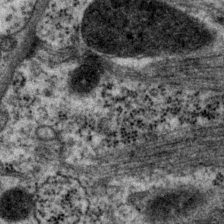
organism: P. pacificus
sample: Pharynx